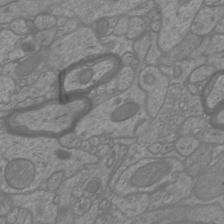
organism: Mouse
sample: Cortical neurons